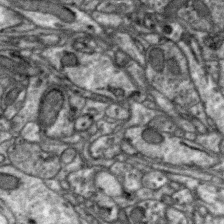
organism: Zebra finch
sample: Brain